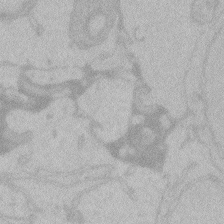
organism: Zebrafish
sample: Macrophage infected with Toxoplasma gondii